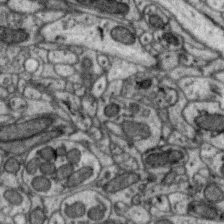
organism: Zebra finch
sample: Brain